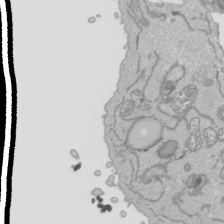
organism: Human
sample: Mitochondria in HCT116 cells